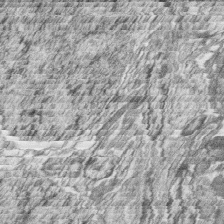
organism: Zebrafish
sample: synaptic ribbons in rod cells and cone cells